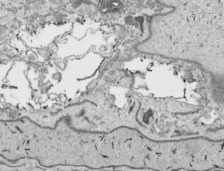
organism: Human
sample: Mitochondria in HCT116 cells